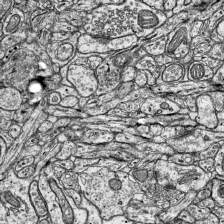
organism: Mouse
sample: Visual Cortex